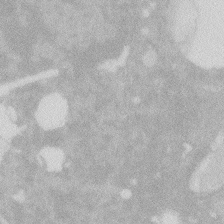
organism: Zebrafish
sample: Macrophage